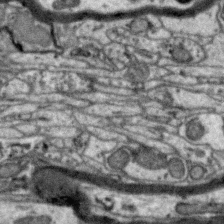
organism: Zebra finch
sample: Brain